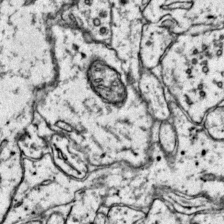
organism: Mouse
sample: Primary visual cortex